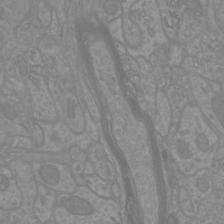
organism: Mouse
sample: Cortical neurons